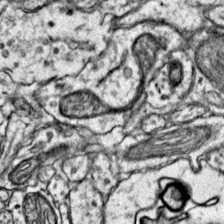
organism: Mouse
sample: Primary visual cortex